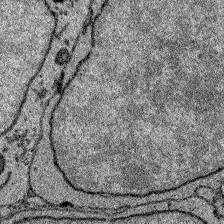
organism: Zebrafish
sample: Larval olfactory bulb